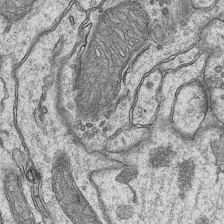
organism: Mouse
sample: CA1 Hippocampus